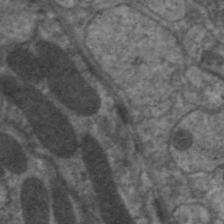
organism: C. elegans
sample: Pharynx